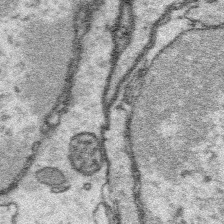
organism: Platynereis dumerilii